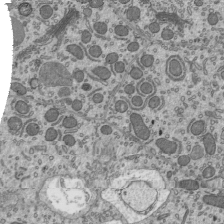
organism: Mouse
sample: Mouse epididymis efferent ductule cilia